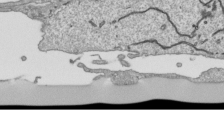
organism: Human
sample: Mitochondria in HCT116 cells